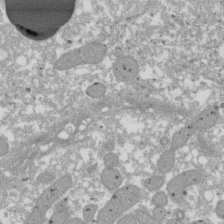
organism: Xenopus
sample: Cilia; centrioles in frog embryo cells